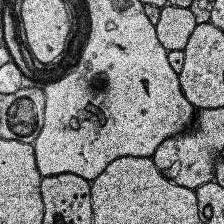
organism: Human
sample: Temporal Lobe